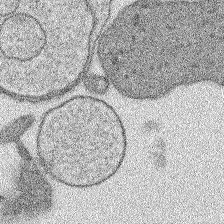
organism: Human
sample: HeLa cells